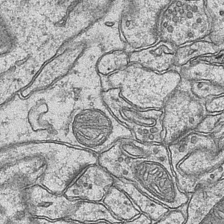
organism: Mouse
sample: CA1 Hippocampus